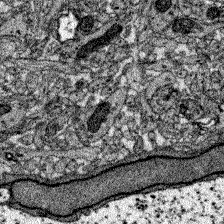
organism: Zebrafish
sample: Larval olfactory bulb